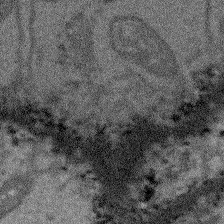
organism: Arabidopsis thaliana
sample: Root tip